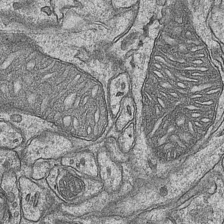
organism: Mouse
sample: CA1 Hippocampus